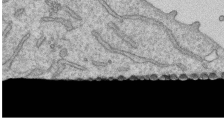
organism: Human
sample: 1205lu cells